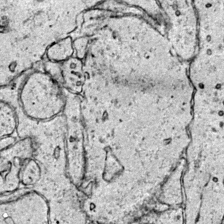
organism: Mouse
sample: Primary visual cortex